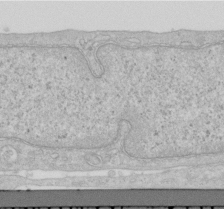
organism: Human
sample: Centriole in RPE cells